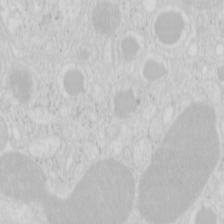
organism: Mouse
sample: Pancreas